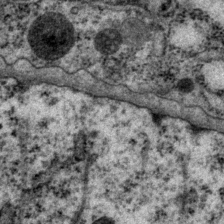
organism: P. pacificus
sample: Pharynx